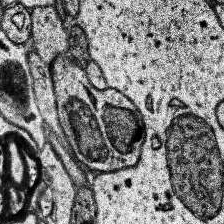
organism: Human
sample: Temporal Lobe